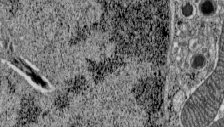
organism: C57BL Mouse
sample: Pancreatic islet